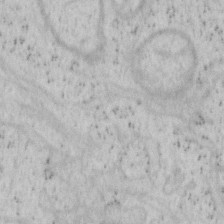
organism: Human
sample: HeLa cells